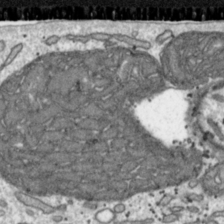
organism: Toxoplasma gondii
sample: Parasites in a vacuole inside a host cell